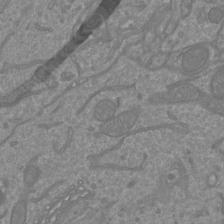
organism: Mouse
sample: Cortical neurons